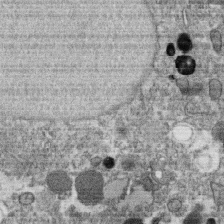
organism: C. elegans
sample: C. elegans oocyte; sperm cells